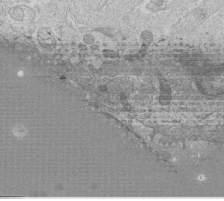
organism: Human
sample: Macrophage cells